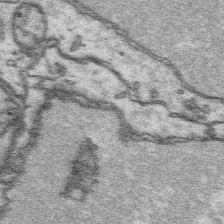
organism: Platynereis dumerilii